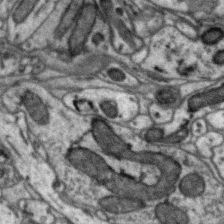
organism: Zebra finch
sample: Brain